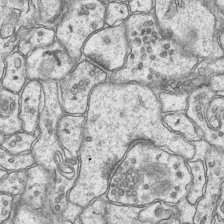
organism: Mouse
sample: CA1 Hippocampus